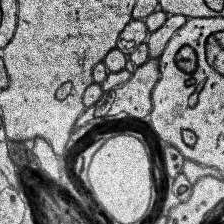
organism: Human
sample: Temporal Lobe